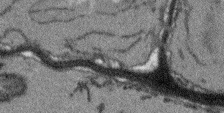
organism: Arabidopsis thaliana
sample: Root tip